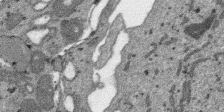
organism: Human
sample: Lung epithelial cells infected with SARS-CoV-2